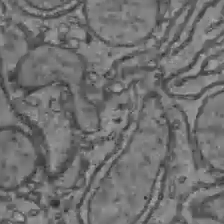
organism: C57BL Mouse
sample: Liver